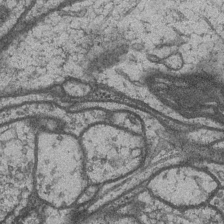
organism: Drosophila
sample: Optic medulla